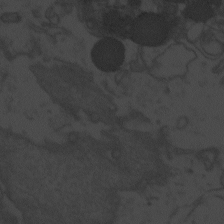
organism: Zebrafish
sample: Macrophage infected with Toxoplasma gondii